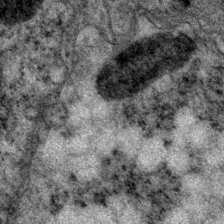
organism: P. pacificus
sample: Pharynx